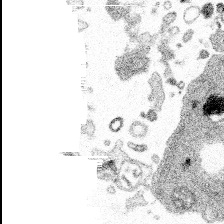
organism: Spongilla lacustris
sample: Multiple